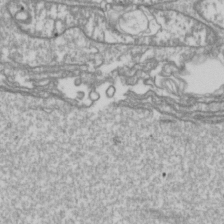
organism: Drosophila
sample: Cell division; meiosis; drosophila spermatocytes